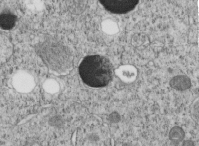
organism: C. elegans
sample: C. elegans embryo early stage